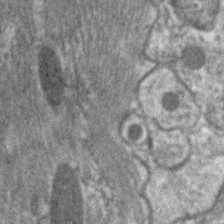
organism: C. elegans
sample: Pharynx